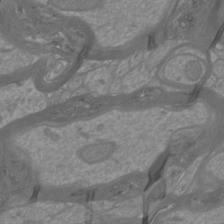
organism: Mouse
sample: Cortical neurons